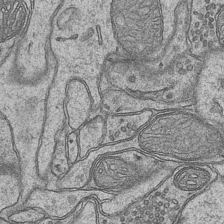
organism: Mouse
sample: CA1 Hippocampus